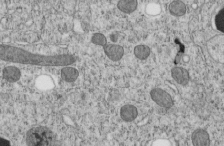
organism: C. elegans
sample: C. elegans embryo early stage